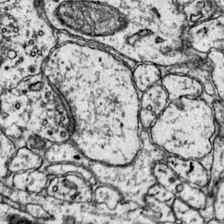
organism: Mouse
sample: Primary visual cortex